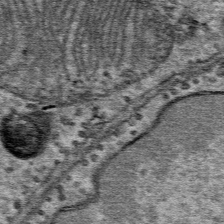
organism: Mouse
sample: Mouse Salivary gland